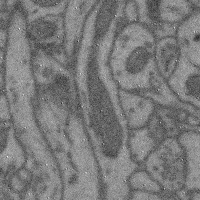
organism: Mouse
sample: Cerebral cortex